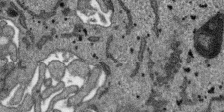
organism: Human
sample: Lung epithelial cells, uninfected (mock) control